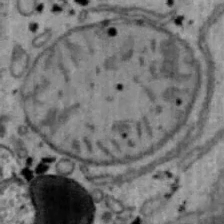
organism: Mouse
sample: Liver